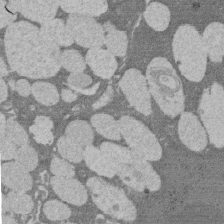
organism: Rat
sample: Salivary granule